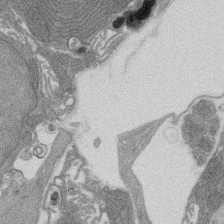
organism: Rat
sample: Salivary granule